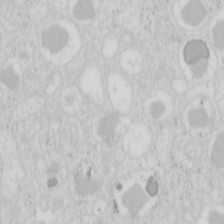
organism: Mouse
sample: Pancreas